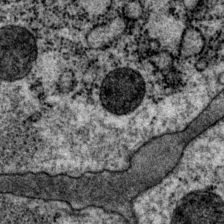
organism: P. pacificus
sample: Pharynx